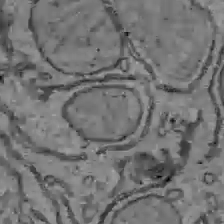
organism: C57BL Mouse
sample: Liver